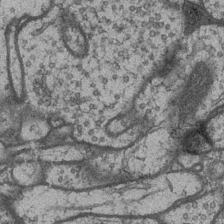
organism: Drosophila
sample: Optic medulla